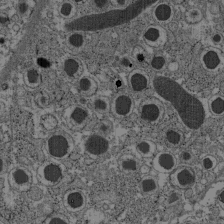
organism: C57BL Mouse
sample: Pancreatic islet